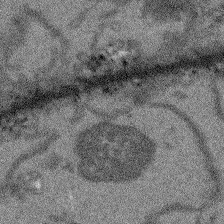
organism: Arabidopsis thaliana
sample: Root tip